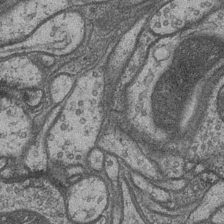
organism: Drosophila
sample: Optic medulla